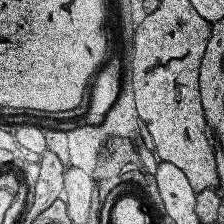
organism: Human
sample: Temporal Lobe